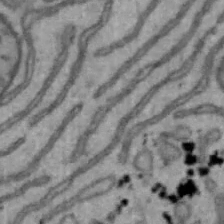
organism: Mouse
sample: Liver